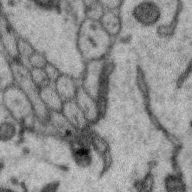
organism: Zebra finch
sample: Brain